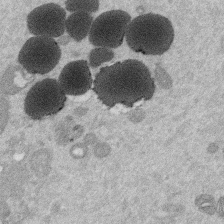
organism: Mouse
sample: Dividing mouse embryo 1 cell stage